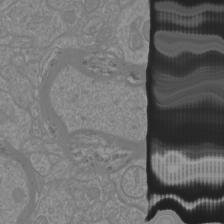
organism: Mouse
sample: Cortical neurons